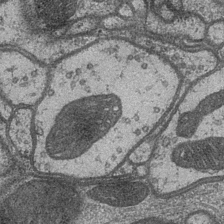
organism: Drosophila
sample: Optic medulla